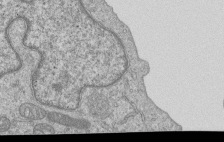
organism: Human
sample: MDA-MB-231 cells